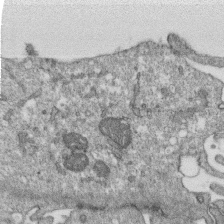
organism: African green monkey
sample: Vero E6 cells infected with SARS-CoV-2